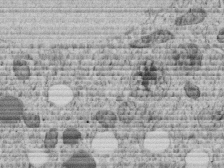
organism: C. elegans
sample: C. elegans embryo early stage